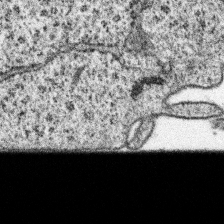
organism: Human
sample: HeLa cells